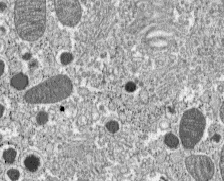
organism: C57BL Mouse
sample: Pancreatic islet